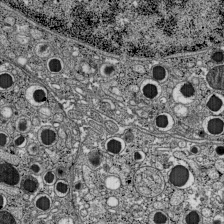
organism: C57BL Mouse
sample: Pancreatic islet